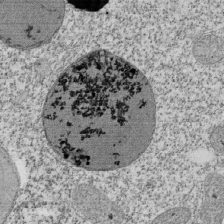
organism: Tetrahymena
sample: Cilia in tetrahymena